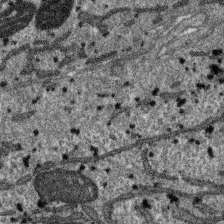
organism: Human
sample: Lung epithelial cells infected with SARS-CoV-2